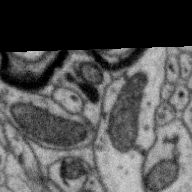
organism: Zebra finch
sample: Brain